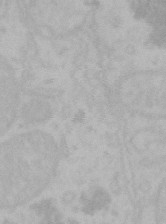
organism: Mouse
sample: Choroid plexus